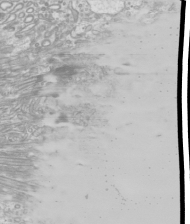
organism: Mouse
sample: Cilia; mouse epididymis